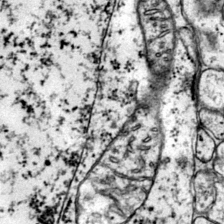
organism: Mouse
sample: Primary visual cortex